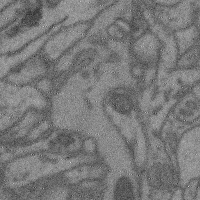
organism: Mouse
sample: Cerebral cortex